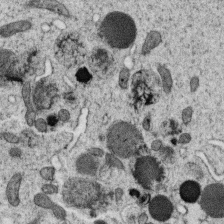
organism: C. elegans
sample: C. elegans oocyte; sperm cells